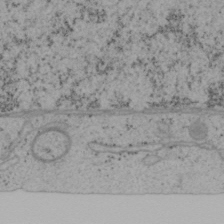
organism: Human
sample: HeLa cells